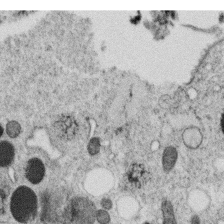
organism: C. elegans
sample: C. elegans oocyte; sperm cells